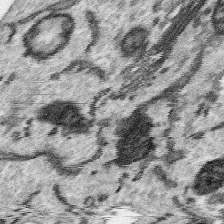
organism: Human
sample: HeLa cells